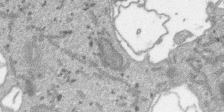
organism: Human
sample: Lung epithelial cells infected with SARS-CoV-2